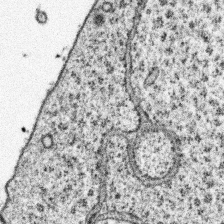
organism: Human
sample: HeLa cells